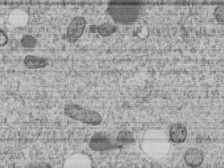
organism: C. elegans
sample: C. elegans embryo early stage